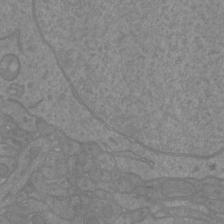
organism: Mouse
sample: Cortical neurons